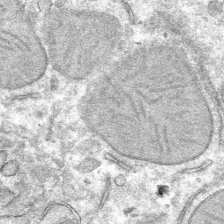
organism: Mouse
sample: Mouse hepatocytes